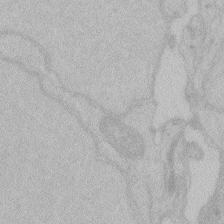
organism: Zebrafish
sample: Macrophage infected with Toxoplasma gondii